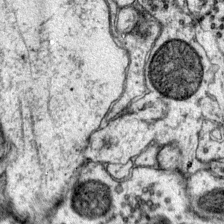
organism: Mouse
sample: Primary visual cortex